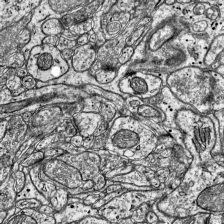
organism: Mouse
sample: Visual Cortex